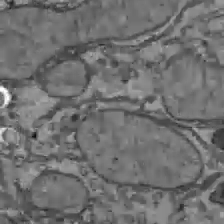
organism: C57BL Mouse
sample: Liver